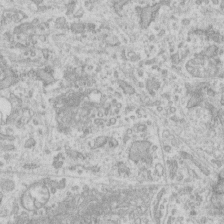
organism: Human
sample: Fibroblast cells